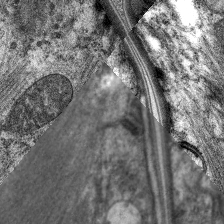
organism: C. elegans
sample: Pharynx